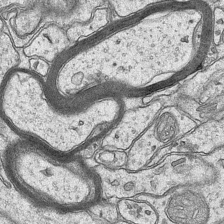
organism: Mouse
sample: CA1 Hippocampus